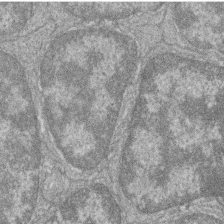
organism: Zebrafish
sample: Cilia; retinal pigment epithelium